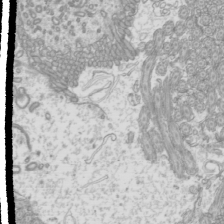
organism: Mouse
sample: Cilia; mouse epididymis